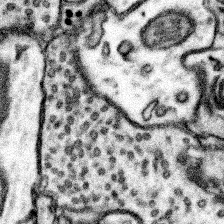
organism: Mouse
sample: Somatosensory cortex neuropil